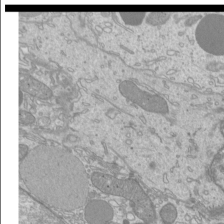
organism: Mouse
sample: Cilia; mouse epididymis